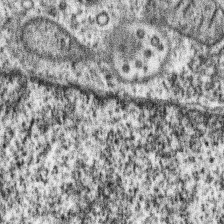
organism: Human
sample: HeLa cells